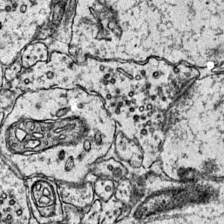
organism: Mouse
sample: Primary visual cortex